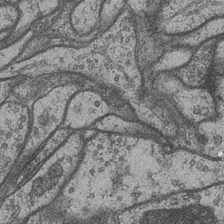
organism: Drosophila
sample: Optic medulla